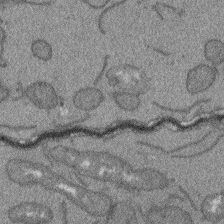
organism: Arabidopsis thaliana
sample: Root tip